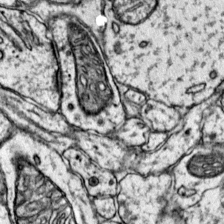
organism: Mouse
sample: Primary visual cortex